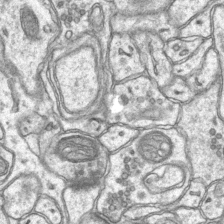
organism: Mouse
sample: CA1 Hippocampus